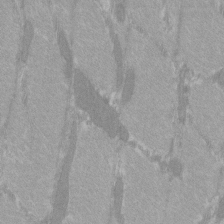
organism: C57BL Mouse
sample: Tibialis anterior muscle cell